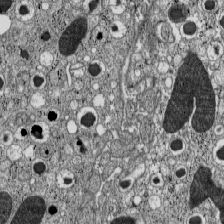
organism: C57BL Mouse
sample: Pancreatic islet